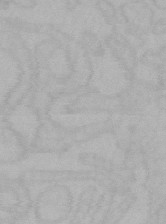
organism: Mouse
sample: Choroid plexus